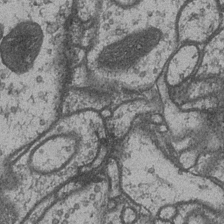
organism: Drosophila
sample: Optic medulla